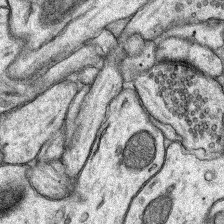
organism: Rat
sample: Hippocampus